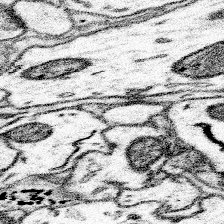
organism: Mouse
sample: Somatosensory cortex neuropil